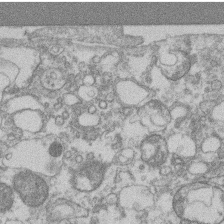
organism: Mouse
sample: T cell stromal cell synapse